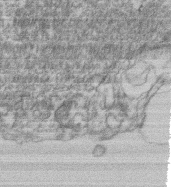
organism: Mouse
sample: T cell stromal cell synapse